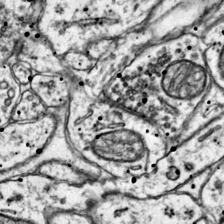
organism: Mouse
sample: Primary visual cortex